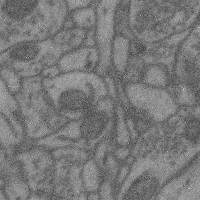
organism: Mouse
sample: Cerebral cortex